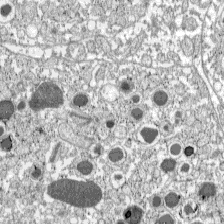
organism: C57BL Mouse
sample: Pancreatic islet